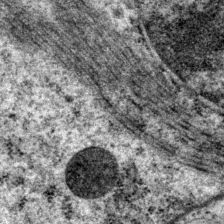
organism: P. pacificus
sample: Pharynx